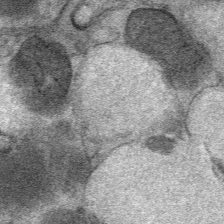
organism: Mouse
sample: Mouse Salivary gland